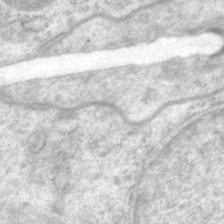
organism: P. pacificus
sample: Pharynx